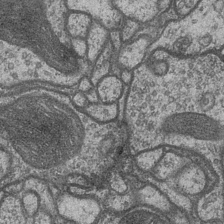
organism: Drosophila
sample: Optic medulla